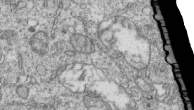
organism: Human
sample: HeLa cell HIV synapse